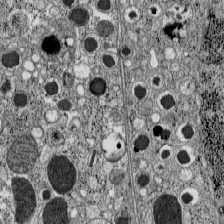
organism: C57BL Mouse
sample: Pancreatic islet